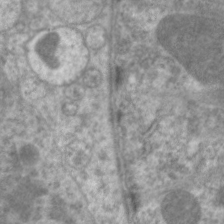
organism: C. elegans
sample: Pharynx